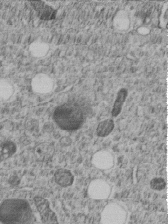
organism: C. elegans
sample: C. elegans embryo early stage